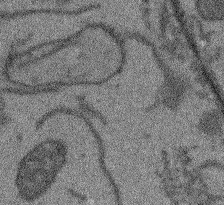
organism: Arabidopsis thaliana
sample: Root tip